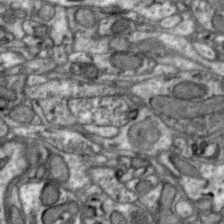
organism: Zebra finch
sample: Brain